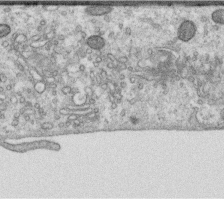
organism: Human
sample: Centriole in RPE cells